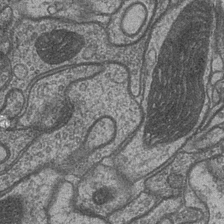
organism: Drosophila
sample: Optic medulla